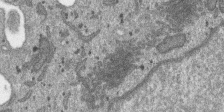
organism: Human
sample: Lung epithelial cells infected with SARS-CoV-2